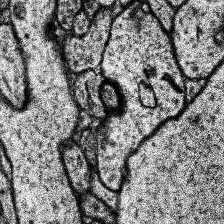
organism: Human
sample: Temporal Lobe